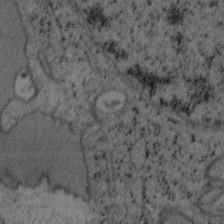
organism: Human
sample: HeLa cells